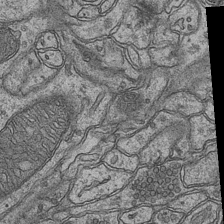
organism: Mouse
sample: CA1 Hippocampus